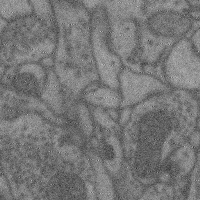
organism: Mouse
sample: Cerebral cortex